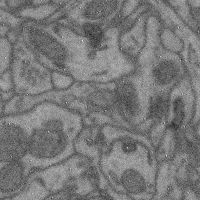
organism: Mouse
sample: Cerebral cortex